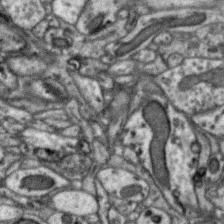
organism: Zebra finch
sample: Brain